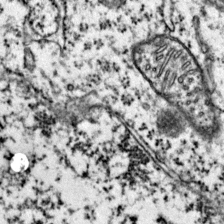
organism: Mouse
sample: Primary visual cortex